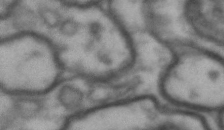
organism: Drosophila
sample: Brain